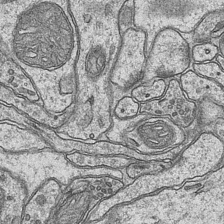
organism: Mouse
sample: CA1 Hippocampus